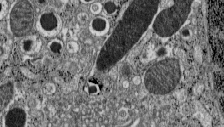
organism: C57BL Mouse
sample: Pancreatic islet